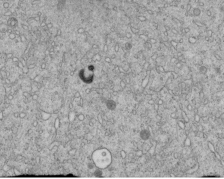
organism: C. elegans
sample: C. elegans embryo early stage